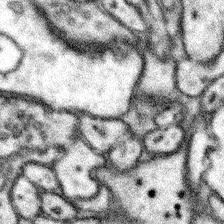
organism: Mouse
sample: Somatosensory cortex neuropil